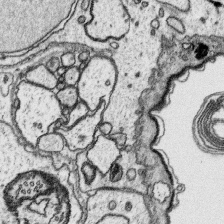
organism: Platynereis dumerilii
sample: Parapodia